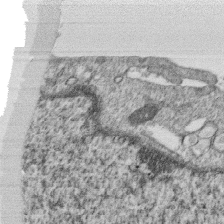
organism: African green monkey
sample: Vero E6 cells infected with SARS-CoV-2